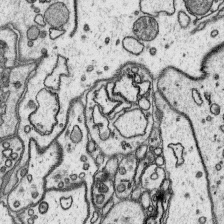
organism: Platynereis dumerilii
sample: Parapodia